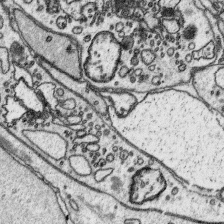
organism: Platynereis dumerilii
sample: Parapodia